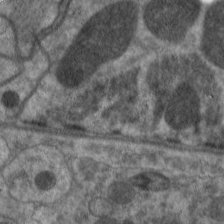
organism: C. elegans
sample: Pharynx